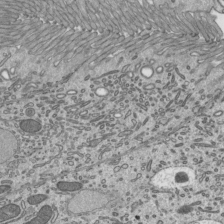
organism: Mouse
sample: Mouse epididymis efferent ductule cilia